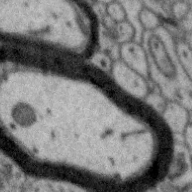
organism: Zebra finch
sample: Brain